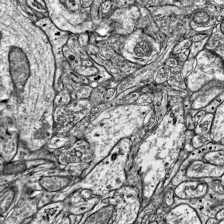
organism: Mouse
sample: Visual Cortex